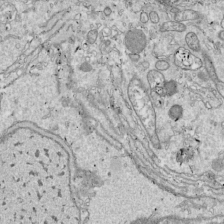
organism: Drosophila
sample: Cell division; meiosis; drosophila spermatocytes